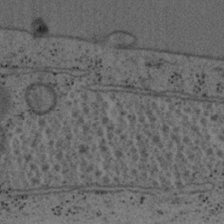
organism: Human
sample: HeLa cells